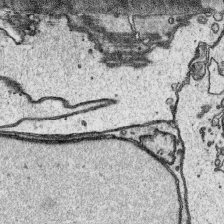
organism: Platynereis dumerilii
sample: Parapodia